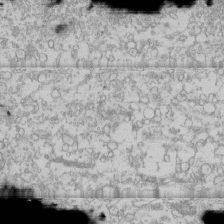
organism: Human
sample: CRL-1474